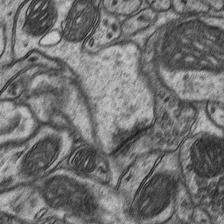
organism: Mouse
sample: CA1 Hippocampus